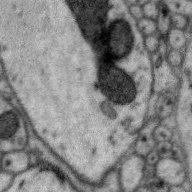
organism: Zebra finch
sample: Brain